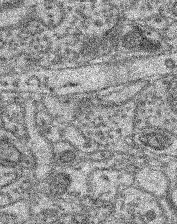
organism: Mouse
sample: Retina